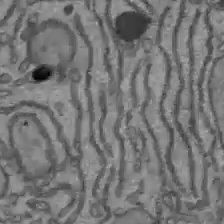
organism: C57BL Mouse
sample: Liver